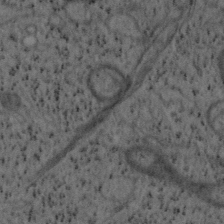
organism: Human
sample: HeLa cells